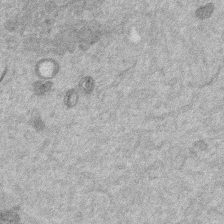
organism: Mouse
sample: Dividing mouse embryo 1 cell stage